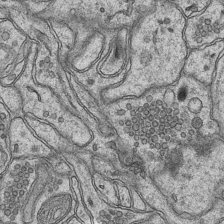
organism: Mouse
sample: CA1 Hippocampus